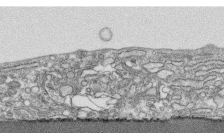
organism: Human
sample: CRL-1474